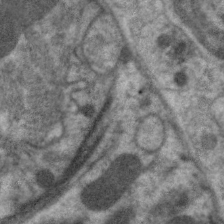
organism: C. elegans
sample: Pharynx